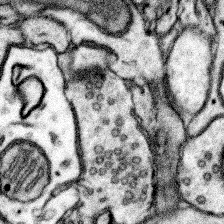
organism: Mouse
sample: Somatosensory cortex neuropil